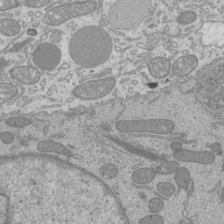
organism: Mouse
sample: Cilia; mouse epididymis